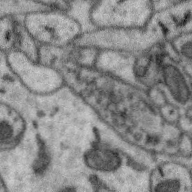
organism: Zebra finch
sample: Brain